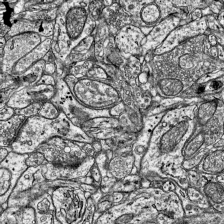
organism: Mouse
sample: Visual Cortex